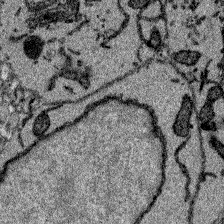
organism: Zebrafish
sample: Larval olfactory bulb